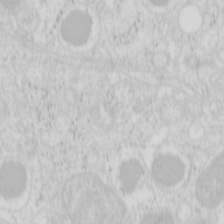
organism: Mouse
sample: Pancreas